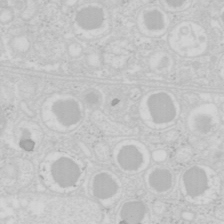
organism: Mouse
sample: Pancreas